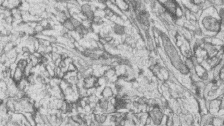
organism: Zebrafish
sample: synaptic ribbons in rod cells and cone cells